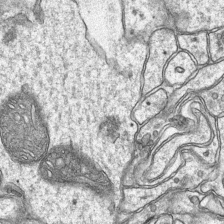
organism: Mouse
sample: CA1 Hippocampus